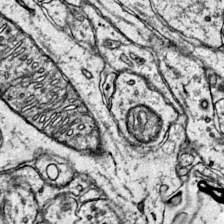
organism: Mouse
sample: Primary visual cortex